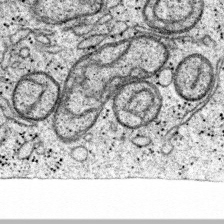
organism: Human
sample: HeLa cells